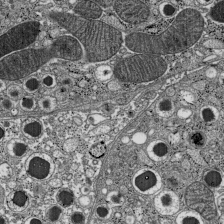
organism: C57BL Mouse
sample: Pancreatic islet